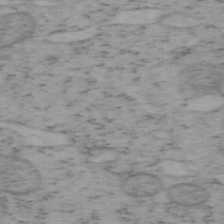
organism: Mouse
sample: OT-I killer T cells with ID8 ovarian cancer cells